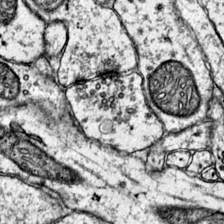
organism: Mouse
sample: Primary visual cortex